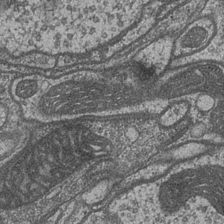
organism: Drosophila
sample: Optic medulla